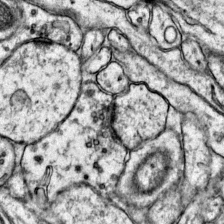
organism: Mouse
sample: Primary visual cortex